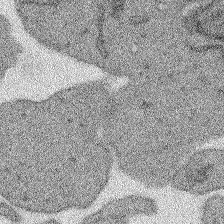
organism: Human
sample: HeLa cells